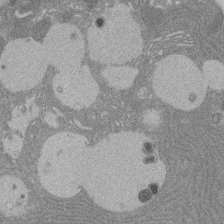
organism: Rat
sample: Salivary granule